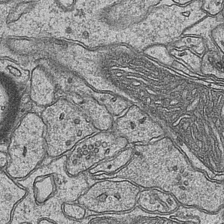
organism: Mouse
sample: CA1 Hippocampus